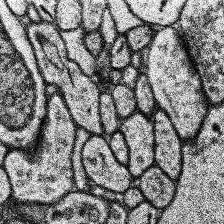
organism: Human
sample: Temporal Lobe